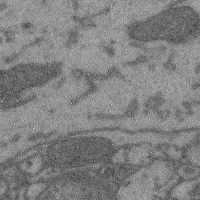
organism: Mouse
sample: Cerebral cortex